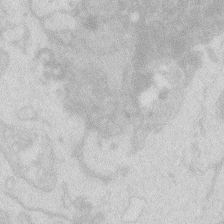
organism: Zebrafish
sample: Macrophage